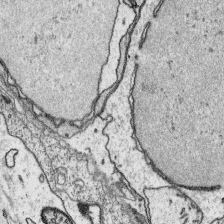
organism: Platynereis dumerilii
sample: Parapodia